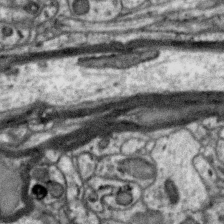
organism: Zebra finch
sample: Brain